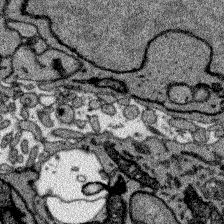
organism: Zebrafish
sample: Larval olfactory bulb